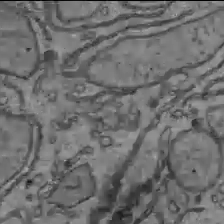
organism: C57BL Mouse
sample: Liver